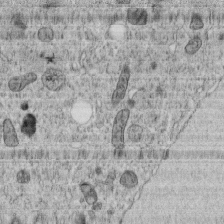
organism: C. elegans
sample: C. elegans embryo early stage